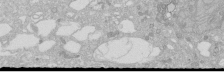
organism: Human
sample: Caco-2 cells